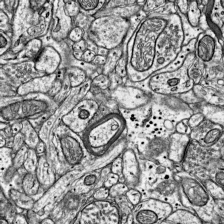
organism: Mouse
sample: Visual Cortex